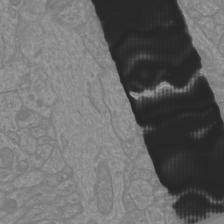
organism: Mouse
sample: Cortical neurons